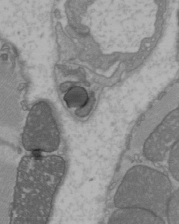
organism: C57BL Mouse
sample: Heart